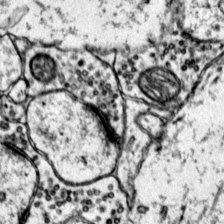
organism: Mouse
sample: Primary visual cortex